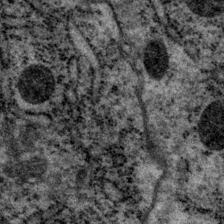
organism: P. pacificus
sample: Pharynx